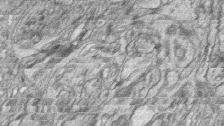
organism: Zebrafish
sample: synaptic ribbons in rod cells and cone cells